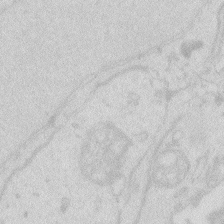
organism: Zebrafish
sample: Macrophage